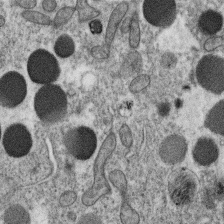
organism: C. elegans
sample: C. elegans oocyte; sperm cells